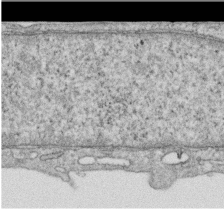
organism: Human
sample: Centriole in RPE cells